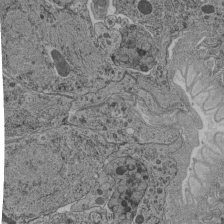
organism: C. elegans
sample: C. elegans pharynx